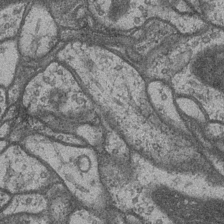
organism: Drosophila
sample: Optic medulla